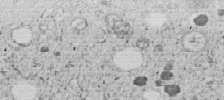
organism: C. elegans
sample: C. elegans embryo early stage